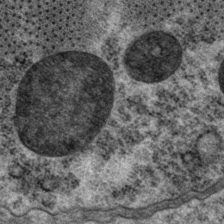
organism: P. pacificus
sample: Pharynx